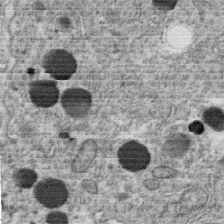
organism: C. elegans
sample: C. elegans oocyte; sperm cells